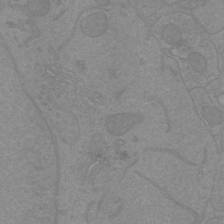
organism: Mouse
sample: Cortical neurons